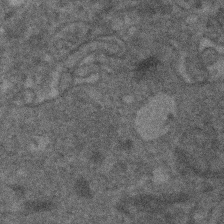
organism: Human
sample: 1205lu cells